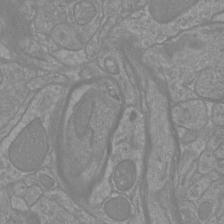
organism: Mouse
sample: Cortical neurons